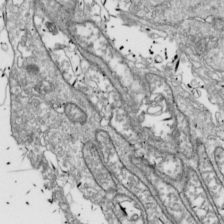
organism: Drosophila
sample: Cell division; meiosis; drosophila spermatocytes